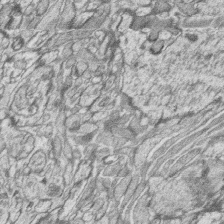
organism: Zebrafish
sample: synaptic ribbons in rod cells and cone cells